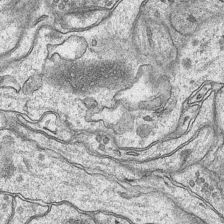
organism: Mouse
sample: CA1 Hippocampus